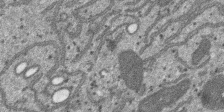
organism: Human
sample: Lung epithelial cells infected with SARS-CoV-2